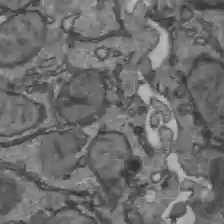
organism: C57BL Mouse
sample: Liver